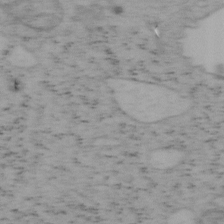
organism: Mouse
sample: OT-I killer T cells with ID8 ovarian cancer cells